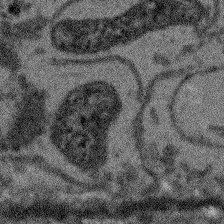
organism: Arabidopsis thaliana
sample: Root tip